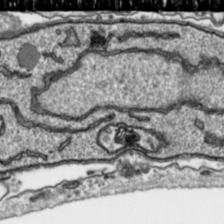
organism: Toxoplasma gondii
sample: Parasites in a vacuole inside a host cell